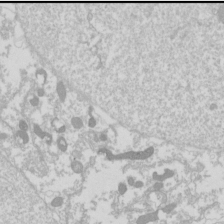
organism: Drosophila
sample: Cell division; meiosis; drosophila spermatocytes